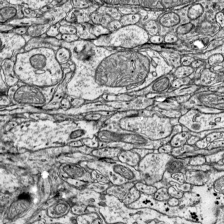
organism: Mouse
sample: Visual Cortex